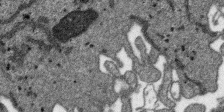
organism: Human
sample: Lung epithelial cells infected with SARS-CoV-2